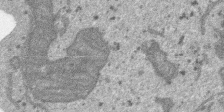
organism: Human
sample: Lung epithelial cells infected with SARS-CoV-2